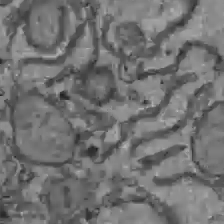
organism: C57BL Mouse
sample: Liver